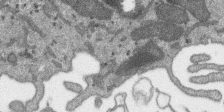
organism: Human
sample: Lung epithelial cells infected with SARS-CoV-2